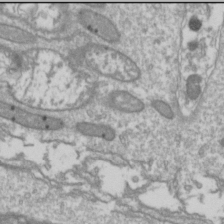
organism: Drosophila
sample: Cell division; meiosis; drosophila spermatocytes